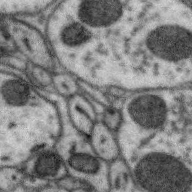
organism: Zebra finch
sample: Brain